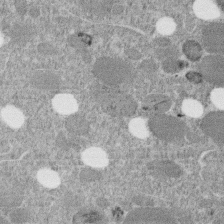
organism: C. elegans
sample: C. elegans embryo early stage